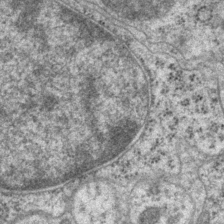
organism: P. pacificus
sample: Pharynx